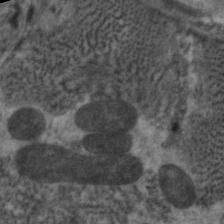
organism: C. elegans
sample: Pharynx